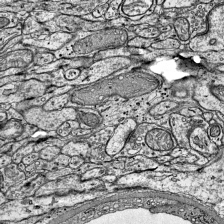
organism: Mouse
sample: Visual Cortex